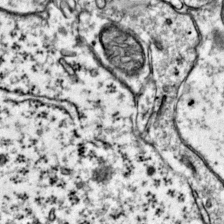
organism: Mouse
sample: Primary visual cortex